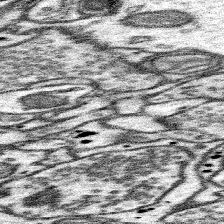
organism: Mouse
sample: Somatosensory cortex neuropil